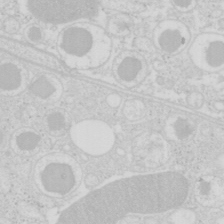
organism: Mouse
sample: Pancreas